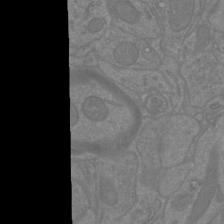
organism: Mouse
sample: Cortical neurons